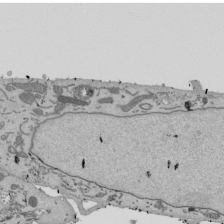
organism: Mouse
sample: ED-1 cell nuclei; centrioles